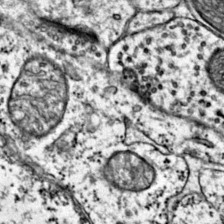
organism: Mouse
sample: Primary visual cortex